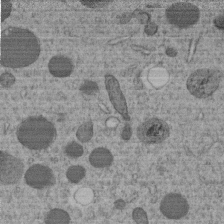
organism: C. elegans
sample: C. elegans embryo early stage